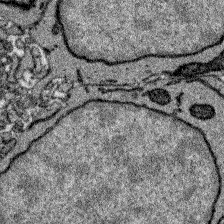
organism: Zebrafish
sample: Larval olfactory bulb